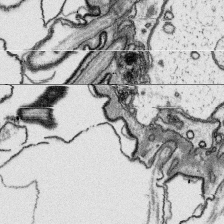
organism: Platynereis dumerilii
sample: Parapodia